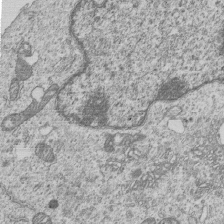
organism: Human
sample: MDA-MB-231 cells